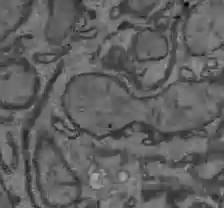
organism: C57BL Mouse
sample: Liver